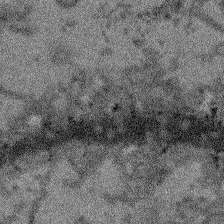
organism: Arabidopsis thaliana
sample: Root tip